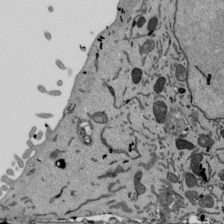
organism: Mouse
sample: ED-1 cell nuclei; centrioles